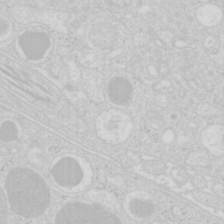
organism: Mouse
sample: Pancreas